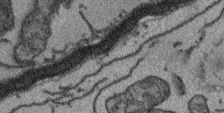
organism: Arabidopsis thaliana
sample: Root tip